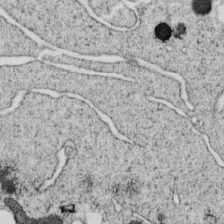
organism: C. elegans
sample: C. elegans oocyte; sperm cells